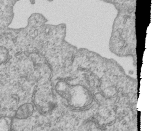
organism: Human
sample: MDA-MB-231 cells